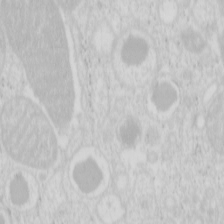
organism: Mouse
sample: Pancreas